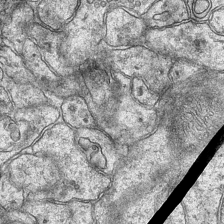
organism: Mouse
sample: CA1 Hippocampus